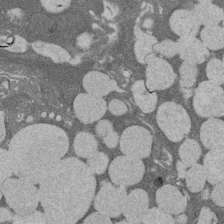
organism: Rat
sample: Salivary granule